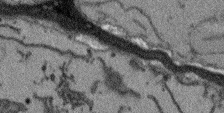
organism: Arabidopsis thaliana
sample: Root tip